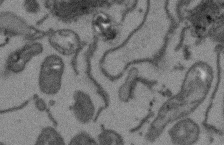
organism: Arabidopsis thaliana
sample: Root tip